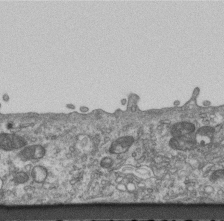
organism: Mouse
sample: Centriole in ependymal cells